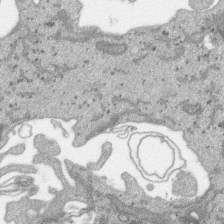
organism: Human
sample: Lung epithelial cells infected with SARS-CoV-2